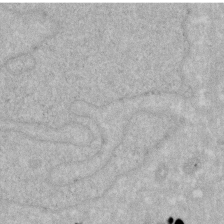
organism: Human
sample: HIV infected U937 cells